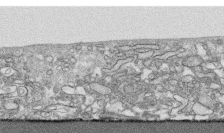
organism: Human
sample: CRL-1474